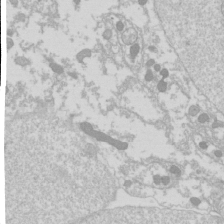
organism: Drosophila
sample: Cell division; meiosis; drosophila spermatocytes